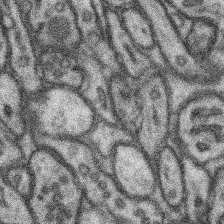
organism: Mouse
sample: Somatosensory cortex neuropil